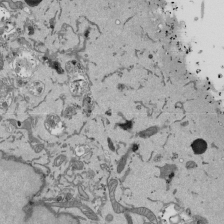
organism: Mouse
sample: ED-1 cell nuclei; centrioles